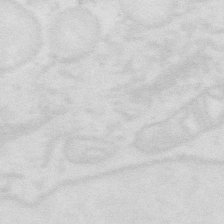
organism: Human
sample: HeLa cells